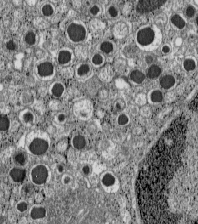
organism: C57BL Mouse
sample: Pancreatic islet